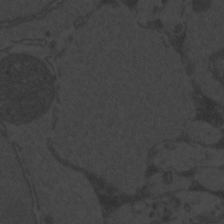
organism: Zebrafish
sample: Macrophage infected with Toxoplasma gondii